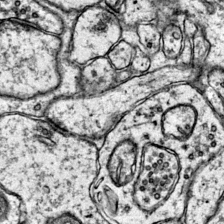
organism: Mouse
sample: Primary visual cortex